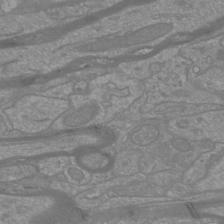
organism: Mouse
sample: Cortical neurons